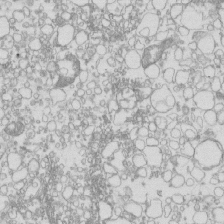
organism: Mouse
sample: Macrophages